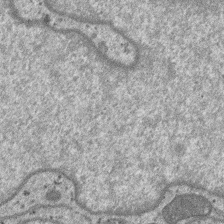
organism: Human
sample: Lung epithelial cells infected with SARS-CoV-2